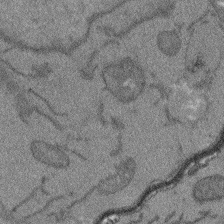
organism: Arabidopsis thaliana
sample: Root tip